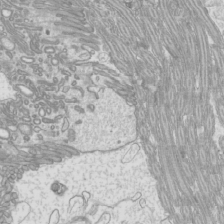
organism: Mouse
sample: Cilia; mouse epididymis